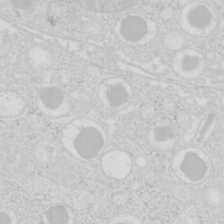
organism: Mouse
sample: Pancreas